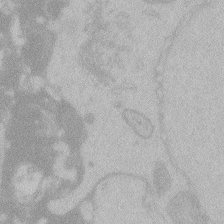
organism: Zebrafish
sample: Macrophage infected with Toxoplasma gondii